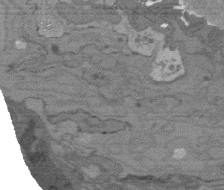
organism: C. elegans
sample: AFD neurons C. elegans